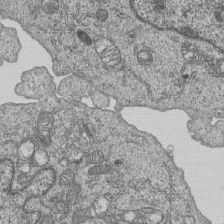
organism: Human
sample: MDA-MB-231 cells